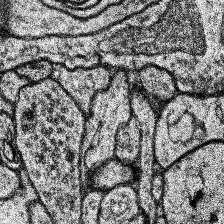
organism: Human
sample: Temporal Lobe